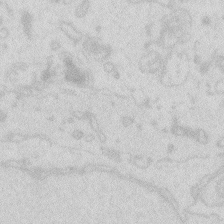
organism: Zebrafish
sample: Macrophage